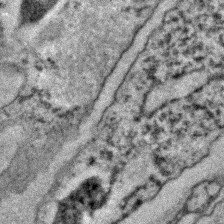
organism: C. elegans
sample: C. elegans embryo